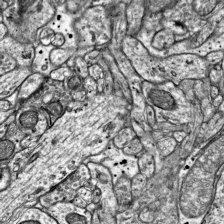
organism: Mouse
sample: Visual Cortex